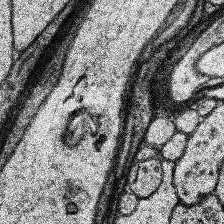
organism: Human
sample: Temporal Lobe